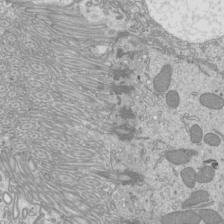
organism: Mouse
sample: Cilia; mouse epididymis